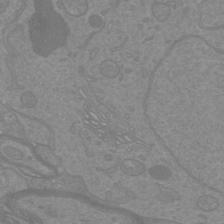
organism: Mouse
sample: Cortical neurons